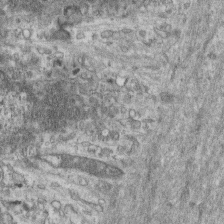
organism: Mouse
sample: Centriole in ependymal cells